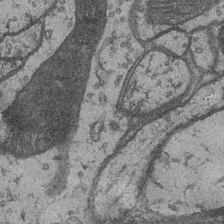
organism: Drosophila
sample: Optic medulla